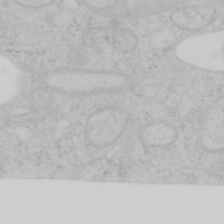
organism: Mouse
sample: OT-I killer T cells with ID8 ovarian cancer cells